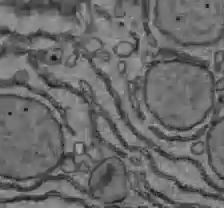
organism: C57BL Mouse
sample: Liver